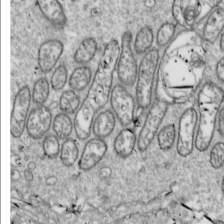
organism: Drosophila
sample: Cell division; meiosis; drosophila spermatocytes